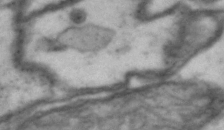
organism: Drosophila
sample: Brain